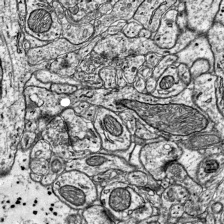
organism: Mouse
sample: Visual Cortex